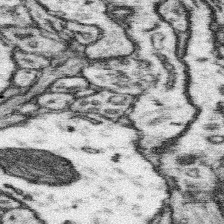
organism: Mouse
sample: Somatosensory cortex neuropil